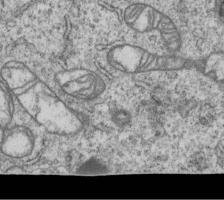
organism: Human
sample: MDA-MB-231 cells